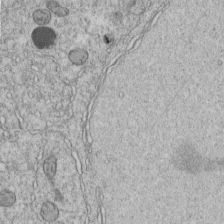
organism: C. elegans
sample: C. elegans embryo early stage